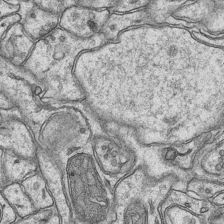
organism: Mouse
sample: CA1 Hippocampus